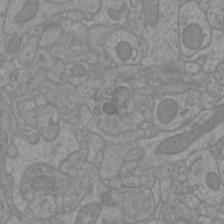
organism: Mouse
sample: Cortical neurons